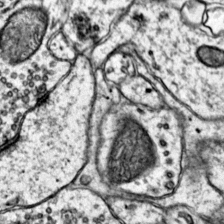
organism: Mouse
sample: Primary visual cortex